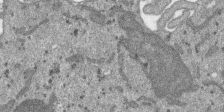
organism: Human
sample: Lung epithelial cells infected with SARS-CoV-2